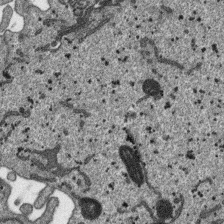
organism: Human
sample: Lung epithelial cells infected with SARS-CoV-2